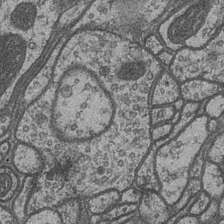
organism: Drosophila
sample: Optic medulla